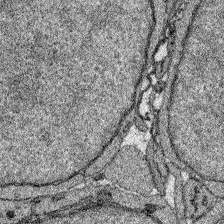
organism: Zebrafish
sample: Larval olfactory bulb